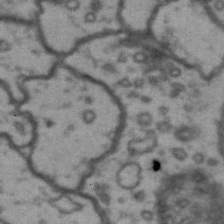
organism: Drosophila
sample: Brain